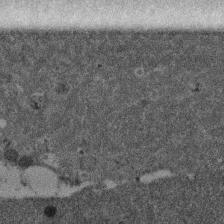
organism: Mouse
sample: Dividing mouse embryo 1 cell stage